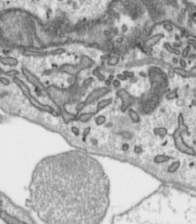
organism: Toxoplasma gondii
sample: Parasites in a vacuole inside a host cell